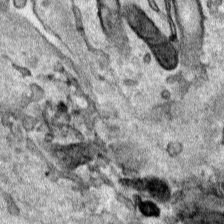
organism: Human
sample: Mitochondria in HCT116 cells